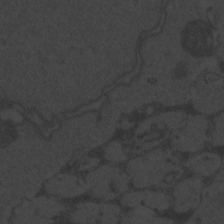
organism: Zebrafish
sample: Macrophage infected with Toxoplasma gondii